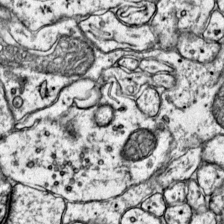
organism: Mouse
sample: Primary visual cortex